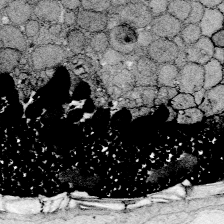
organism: Zebrafish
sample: Whole-Brain